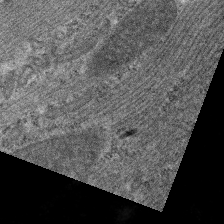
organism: C. elegans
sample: Pharynx